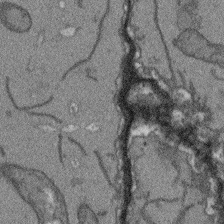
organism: Arabidopsis thaliana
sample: Root tip